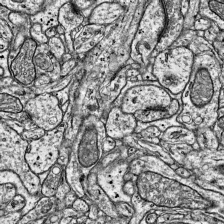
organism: Mouse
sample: Visual Cortex